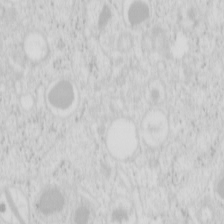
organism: Mouse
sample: Pancreas